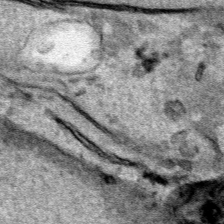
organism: Human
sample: Mitochondria in HCT116 cells